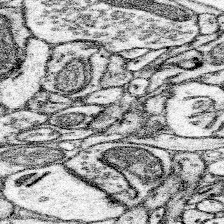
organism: Mouse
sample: Somatosensory cortex neuropil